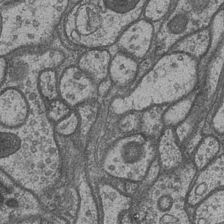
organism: Drosophila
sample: Optic medulla